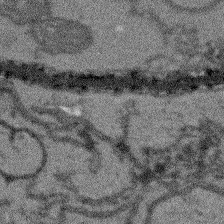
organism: Arabidopsis thaliana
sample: Root tip